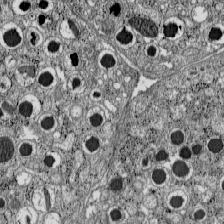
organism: C57BL Mouse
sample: Pancreatic islet